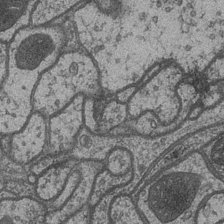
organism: Drosophila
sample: Optic medulla